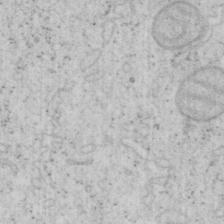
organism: Human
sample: HeLa cells